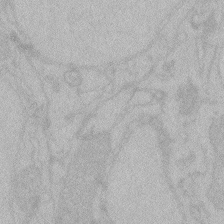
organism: Zebrafish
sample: Macrophage infected with Toxoplasma gondii